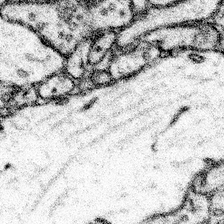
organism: Mouse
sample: Somatosensory cortex neuropil